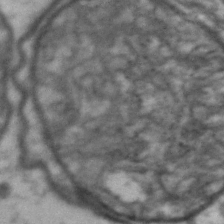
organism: Drosophila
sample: Brain